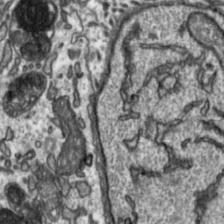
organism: Toxoplasma gondii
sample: Parasites in a vacuole inside a host cell